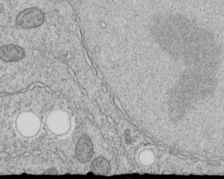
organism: C. elegans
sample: C. elegans embryo early stage